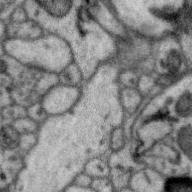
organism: Zebra finch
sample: Brain